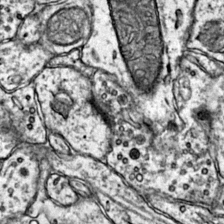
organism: Mouse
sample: Primary visual cortex